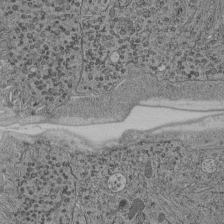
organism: C. elegans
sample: C. elegans pharynx